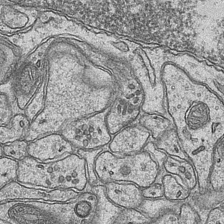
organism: Mouse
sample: CA1 Hippocampus